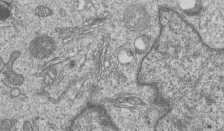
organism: Human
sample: MDA-MB-231 cells